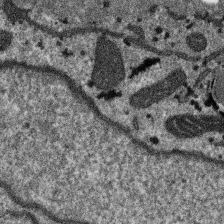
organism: Human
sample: Lung epithelial cells infected with SARS-CoV-2